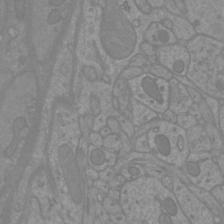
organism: Mouse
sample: Cortical neurons